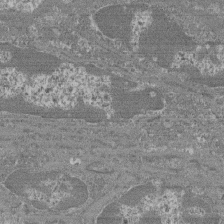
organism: Mouse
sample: Glomerulus